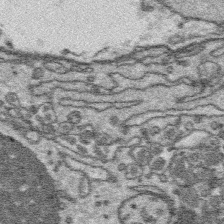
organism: Platynereis dumerilii